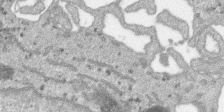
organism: Human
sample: Lung epithelial cells infected with SARS-CoV-2